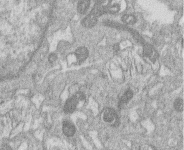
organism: Human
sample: Macrophage cells